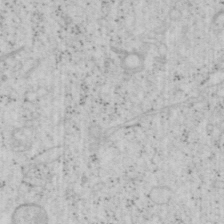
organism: Human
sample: HeLa cells